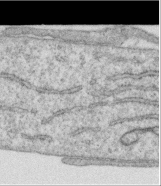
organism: Human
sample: Centriole in RPE cells